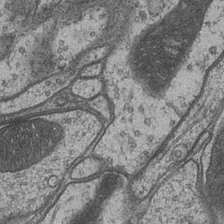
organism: Drosophila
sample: Optic medulla